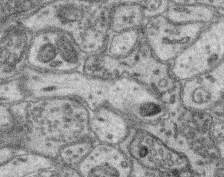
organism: Mouse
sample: Retina